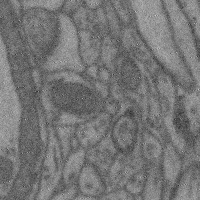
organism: Mouse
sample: Cerebral cortex